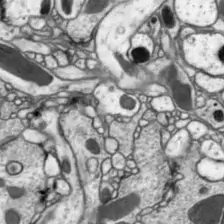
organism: Drosophila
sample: Optic lobe